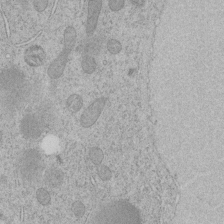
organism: C. elegans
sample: C. elegans embryo early stage